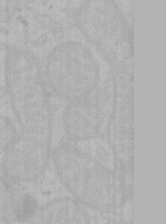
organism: Mouse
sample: Choroid plexus